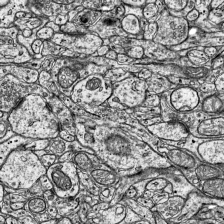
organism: Mouse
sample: Visual Cortex